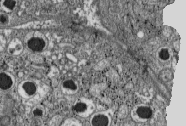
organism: C57BL Mouse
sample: Pancreatic islet